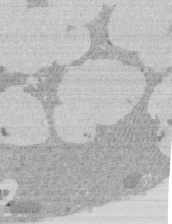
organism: Rat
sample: Salivary granule